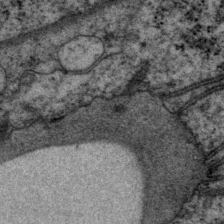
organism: P. pacificus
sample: Pharynx